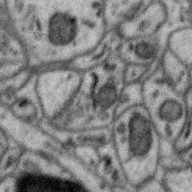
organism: Zebra finch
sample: Brain